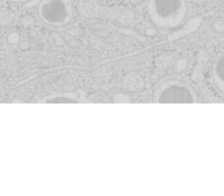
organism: Mouse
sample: Pancreas